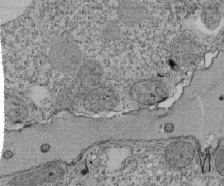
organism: Tetrahymena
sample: Cilia in tetrahymena